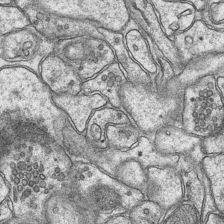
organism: Mouse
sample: CA1 Hippocampus